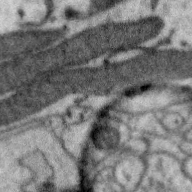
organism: Zebra finch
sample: Brain